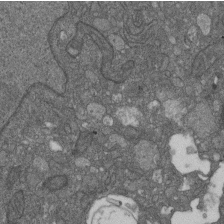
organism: Drosophila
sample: Nephrocyte